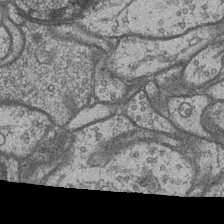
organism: Drosophila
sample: Optic medulla